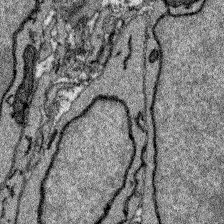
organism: Zebrafish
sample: Larval olfactory bulb